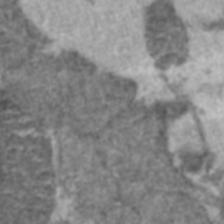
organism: C57BL Mouse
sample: Heart